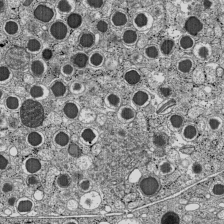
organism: C57BL Mouse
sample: Pancreatic islet